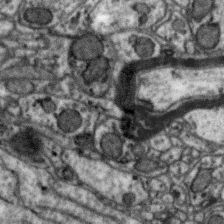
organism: Zebra finch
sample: Brain